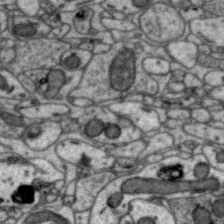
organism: Zebra finch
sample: Brain